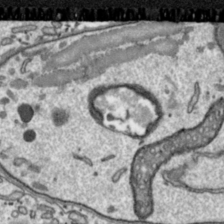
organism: Toxoplasma gondii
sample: Parasites in a vacuole inside a host cell